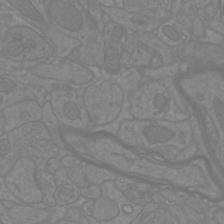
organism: Mouse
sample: Cortical neurons